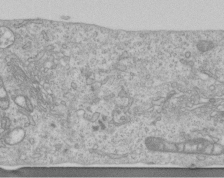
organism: Human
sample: Centriole in RPE cells